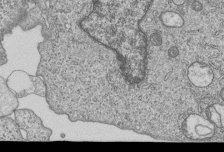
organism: Human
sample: MDA-MB-231 cells